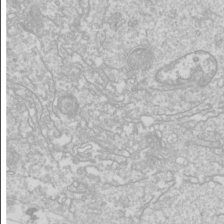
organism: Drosophila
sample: Cell division; meiosis; drosophila spermatocytes